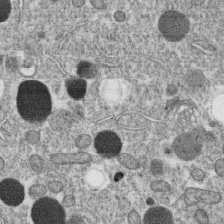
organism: C. elegans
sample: C. elegans oocyte; sperm cells